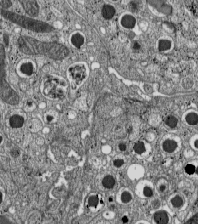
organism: C57BL Mouse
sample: Pancreatic islet